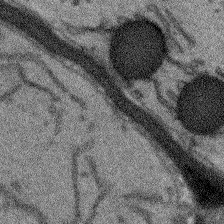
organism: Arabidopsis thaliana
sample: Root tip